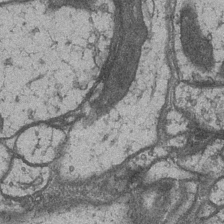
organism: Drosophila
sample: Optic medulla